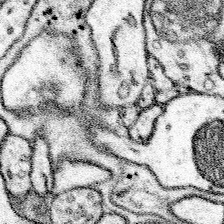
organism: Mouse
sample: Somatosensory cortex neuropil